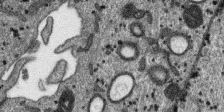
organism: Human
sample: Lung epithelial cells infected with SARS-CoV-2